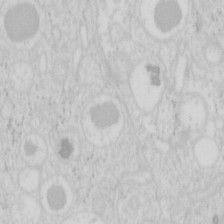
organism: Mouse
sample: Pancreas